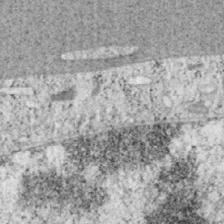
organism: Mouse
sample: OT-I killer T cells with ID8 ovarian cancer cells